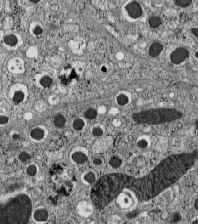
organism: C57BL Mouse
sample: Pancreatic islet